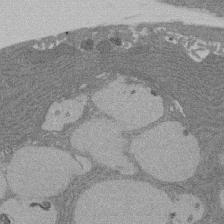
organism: Rat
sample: Salivary granule